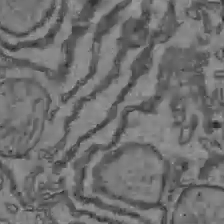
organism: C57BL Mouse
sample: Liver